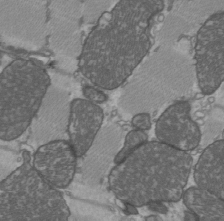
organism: C57BL Mouse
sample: Heart